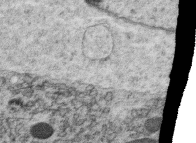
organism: C. elegans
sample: C. elegans oocyte; sperm cells